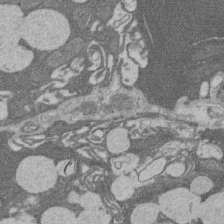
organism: Rat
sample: Salivary granule